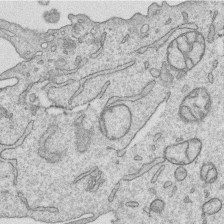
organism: Human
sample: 1205lu cells